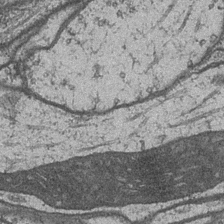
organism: Drosophila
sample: Optic medulla